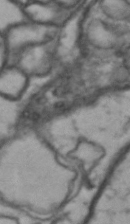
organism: Drosophila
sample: Brain